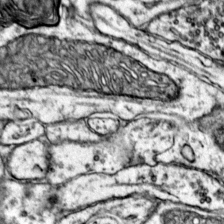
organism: Mouse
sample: Primary visual cortex